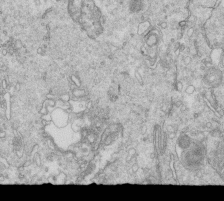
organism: Mouse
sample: Multiciliated cells